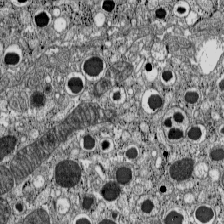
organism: C57BL Mouse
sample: Pancreatic islet